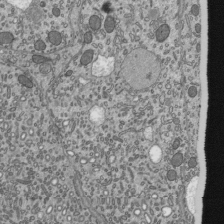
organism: Mouse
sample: Mouse epididymis efferent ductule cilia